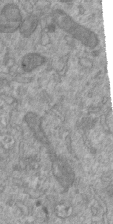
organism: Mouse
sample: ED-1 cell nuclei; centrioles